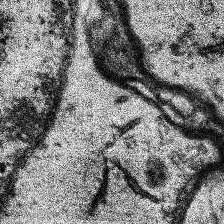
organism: Human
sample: Temporal Lobe